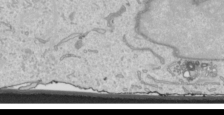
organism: Human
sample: Mitochondria in HCT116 cells